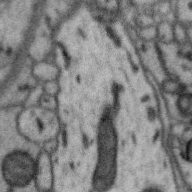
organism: Zebra finch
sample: Brain